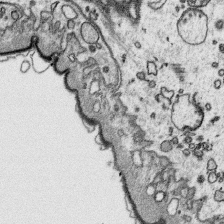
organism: Platynereis dumerilii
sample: Parapodia